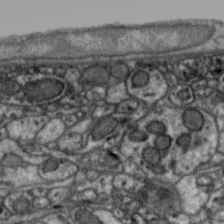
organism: Zebra finch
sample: Brain